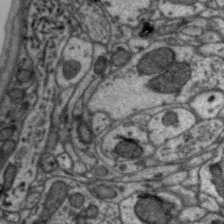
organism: Zebra finch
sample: Brain